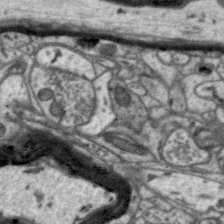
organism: Zebra finch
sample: Brain